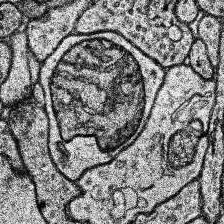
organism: Human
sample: Temporal Lobe